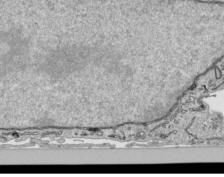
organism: Human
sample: Mitochondria in HCT116 cells